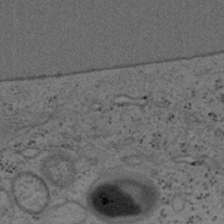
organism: Human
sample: HeLa cells